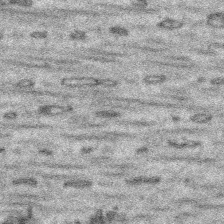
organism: Platynereis dumerilii